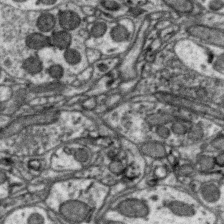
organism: Zebra finch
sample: Brain